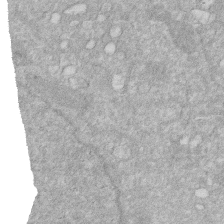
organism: Human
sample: HIV infected U937 cells